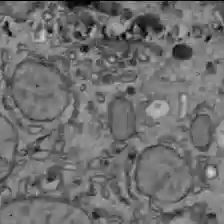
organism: C57BL Mouse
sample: Liver